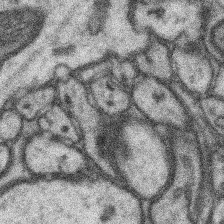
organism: Mouse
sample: Somatosensory cortex neuropil